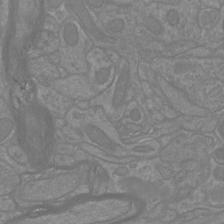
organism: Mouse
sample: Cortical neurons